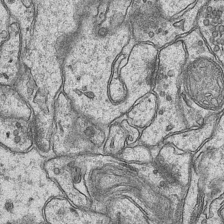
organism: Mouse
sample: CA1 Hippocampus